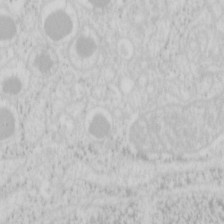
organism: Mouse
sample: Pancreas